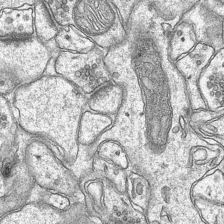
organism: Mouse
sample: CA1 Hippocampus